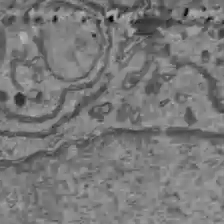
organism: C57BL Mouse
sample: Liver